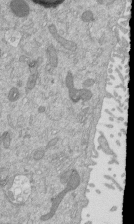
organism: Mouse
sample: ED-1 cell nuclei; centrioles